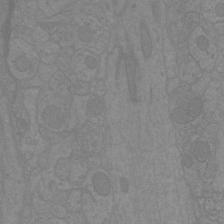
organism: Mouse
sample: Cortical neurons